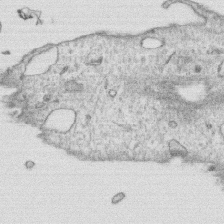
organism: Human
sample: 1205lu cells